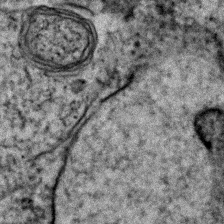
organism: Human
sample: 1205lu cells